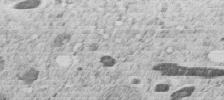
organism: C. elegans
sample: C. elegans embryo early stage